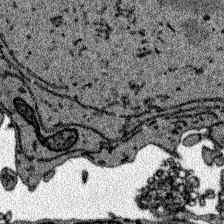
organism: Zebrafish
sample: Larval olfactory bulb